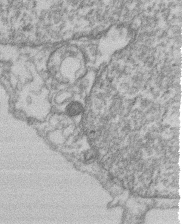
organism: Mouse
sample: T cell stromal cell synapse